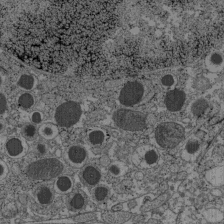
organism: C57BL Mouse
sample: Pancreatic islet